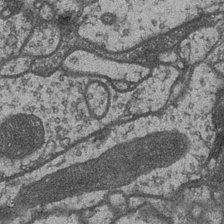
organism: Drosophila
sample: Optic medulla